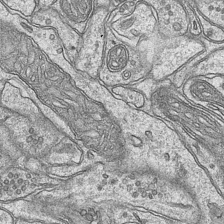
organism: Mouse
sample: CA1 Hippocampus